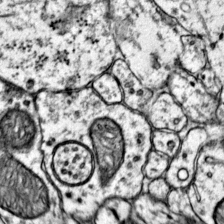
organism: Mouse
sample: Primary visual cortex